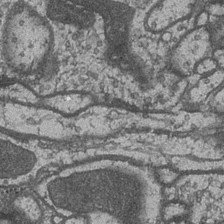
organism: Drosophila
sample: Optic medulla